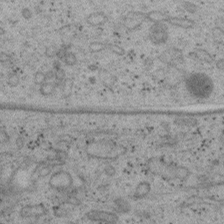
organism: Human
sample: HeLa cells